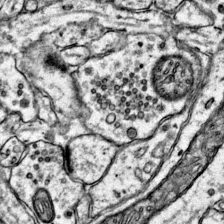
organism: Mouse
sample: Primary visual cortex